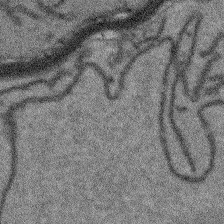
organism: Arabidopsis thaliana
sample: Root tip